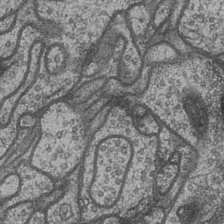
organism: Drosophila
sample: Optic medulla